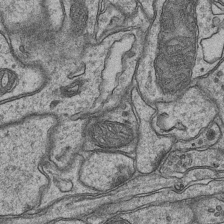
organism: Mouse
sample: CA1 Hippocampus